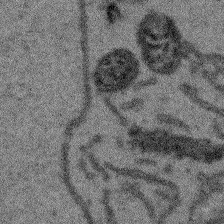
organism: Arabidopsis thaliana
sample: Root tip